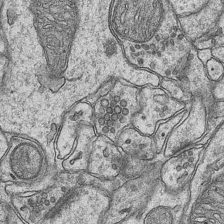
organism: Mouse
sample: CA1 Hippocampus